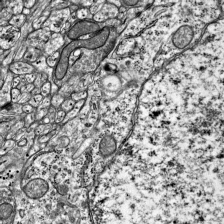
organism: Mouse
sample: Visual Cortex